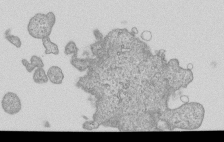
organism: Human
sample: MDA-MB-231 cells